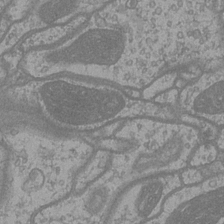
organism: Drosophila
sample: Optic medulla